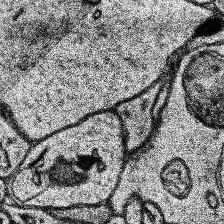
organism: Human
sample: Temporal Lobe